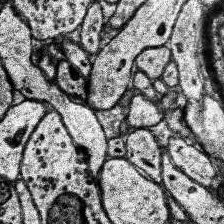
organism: Human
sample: Temporal Lobe